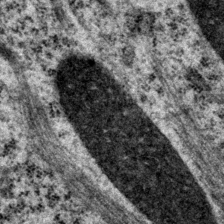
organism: P. pacificus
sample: Pharynx